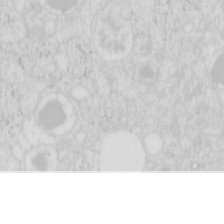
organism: Mouse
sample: Pancreas